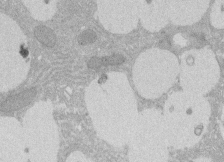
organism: Rat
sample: Salivary granule